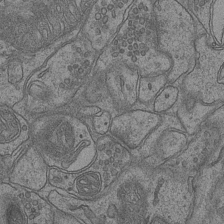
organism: Mouse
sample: CA1 Hippocampus